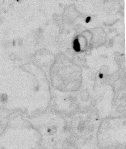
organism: Mouse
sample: T cell stromal cell synapse